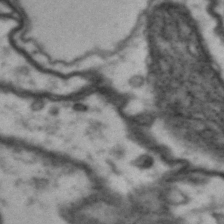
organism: Drosophila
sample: Brain